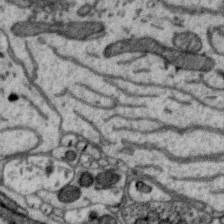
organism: Zebra finch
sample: Brain